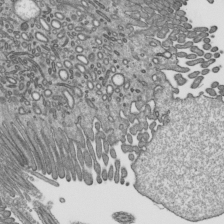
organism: Mouse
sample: Mouse epididymis efferent ductule cilia